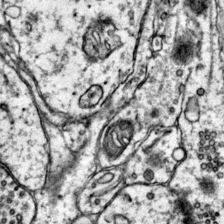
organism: Mouse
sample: Primary visual cortex